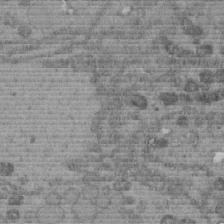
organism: C. elegans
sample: C. elegans embryo early stage